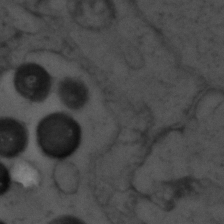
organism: Zebrafish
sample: Zebrafish embryo